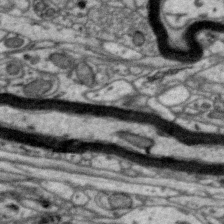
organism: Zebra finch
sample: Brain